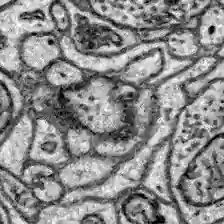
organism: Zebrafish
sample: Brain